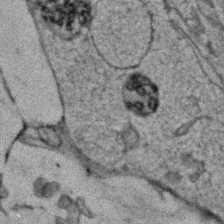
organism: Human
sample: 1205lu cells